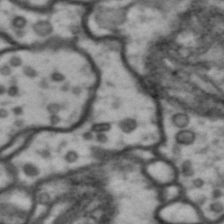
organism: Drosophila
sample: Brain